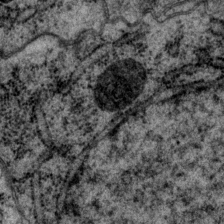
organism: P. pacificus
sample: Pharynx